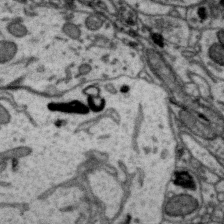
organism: Zebra finch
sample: Brain